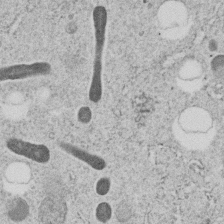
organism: C. elegans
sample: C. elegans embryo early stage